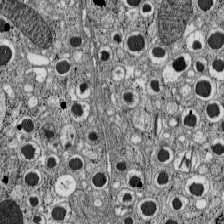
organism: C57BL Mouse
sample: Pancreatic islet